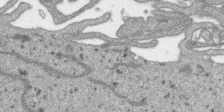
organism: Human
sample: Lung epithelial cells infected with SARS-CoV-2